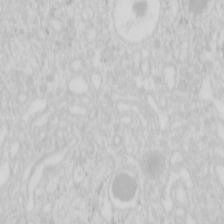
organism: Mouse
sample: Pancreas